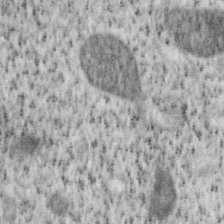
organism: Mouse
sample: OT-I killer T cells with ID8 ovarian cancer cells